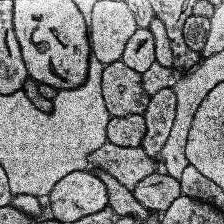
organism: Human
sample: Temporal Lobe